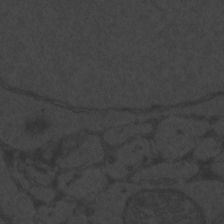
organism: Zebrafish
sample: Macrophage infected with Toxoplasma gondii